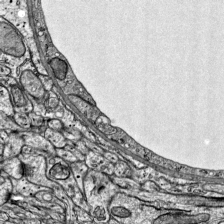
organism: Mouse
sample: Visual Cortex